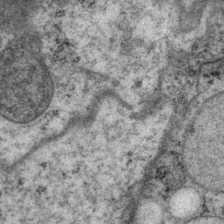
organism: P. pacificus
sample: Pharynx